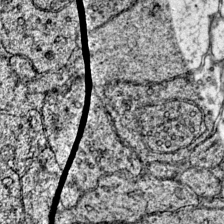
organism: Mouse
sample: Primary visual cortex